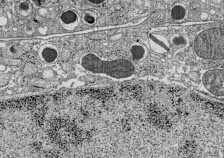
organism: C57BL Mouse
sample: Pancreatic islet